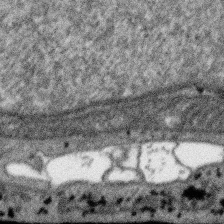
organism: Human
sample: Lung epithelial cells infected with SARS-CoV-2